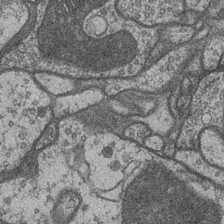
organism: Drosophila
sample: Optic medulla